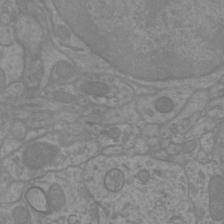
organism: Mouse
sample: Cortical neurons